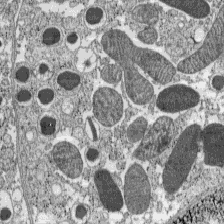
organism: C57BL Mouse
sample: Pancreatic islet